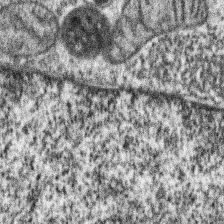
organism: Human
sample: HeLa cells